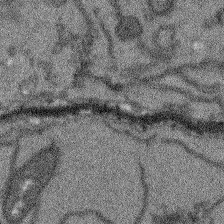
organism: Arabidopsis thaliana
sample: Root tip